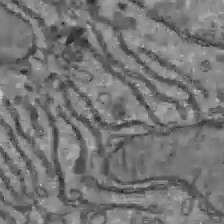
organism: C57BL Mouse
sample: Liver